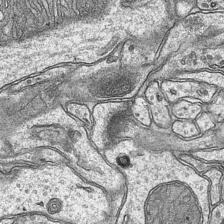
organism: Mouse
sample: CA1 Hippocampus